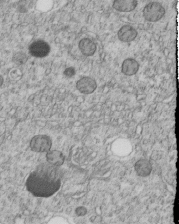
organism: C. elegans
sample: C. elegans embryo early stage